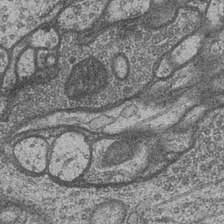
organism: Drosophila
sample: Optic medulla